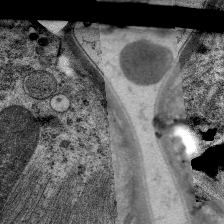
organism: C. elegans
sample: Pharynx